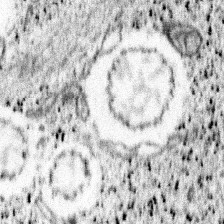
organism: Human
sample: HeLa cells